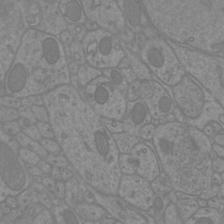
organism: Mouse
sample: Cortical neurons